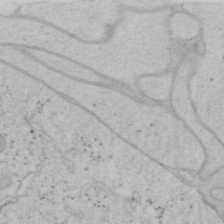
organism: Human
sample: HeLa cells